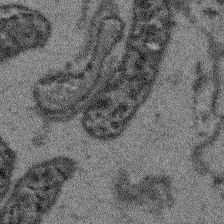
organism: Arabidopsis thaliana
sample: Root tip